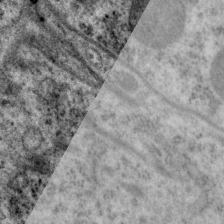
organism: P. pacificus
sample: Pharynx